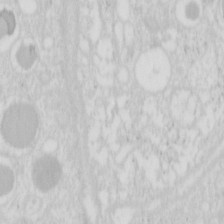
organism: Mouse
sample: Pancreas